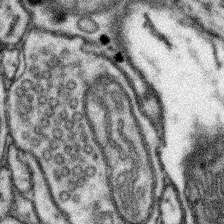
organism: Mouse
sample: Somatosensory cortex neuropil